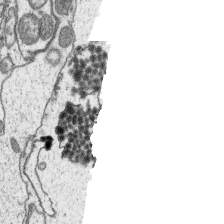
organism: Platynereis dumerilii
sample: Parapodia